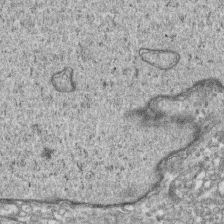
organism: Human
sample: CRL-1474